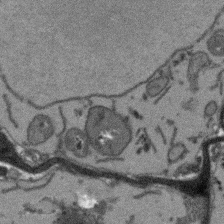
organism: Arabidopsis thaliana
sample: Root tip